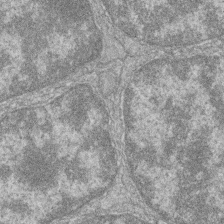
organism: Zebrafish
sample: Cilia; retinal pigment epithelium